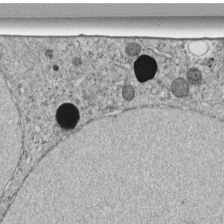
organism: C. elegans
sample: C. elegans embryo early stage